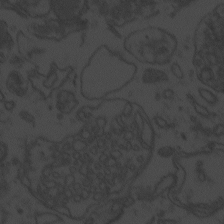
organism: Zebrafish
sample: Macrophage infected with Toxoplasma gondii